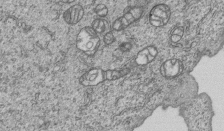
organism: Human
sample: MDA-MB-231 cells